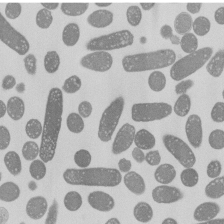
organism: E. coli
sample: Bacterial nucleoid